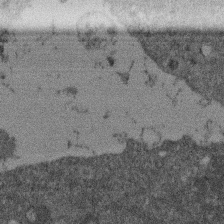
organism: Mouse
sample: Dividing mouse embryo 1 cell stage